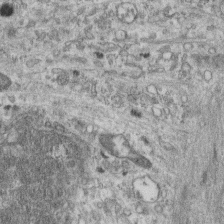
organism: Mouse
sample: Centriole in ependymal cells